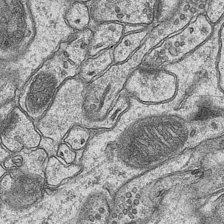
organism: Mouse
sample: CA1 Hippocampus